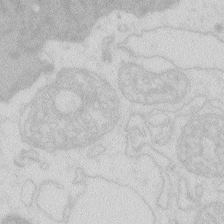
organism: Zebrafish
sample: Macrophage